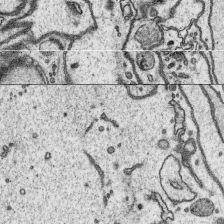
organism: Platynereis dumerilii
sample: Parapodia